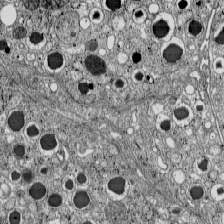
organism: C57BL Mouse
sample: Pancreatic islet